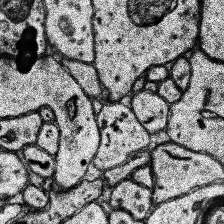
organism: Human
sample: Temporal Lobe